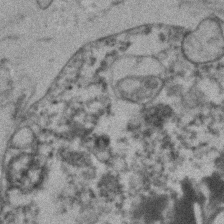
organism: Human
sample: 1205lu cells